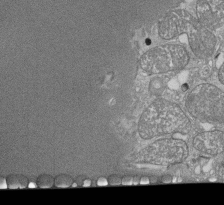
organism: Tetrahymena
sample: Cilia in tetrahymena